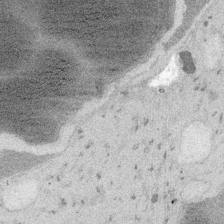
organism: Embia sp.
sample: Silk gland